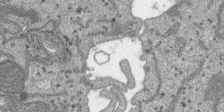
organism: Human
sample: Lung epithelial cells infected with SARS-CoV-2